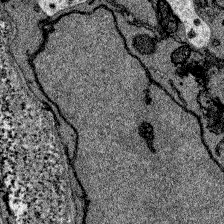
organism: Zebrafish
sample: Larval olfactory bulb